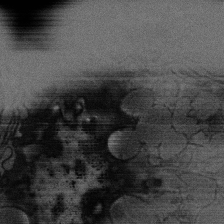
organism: Rat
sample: Salivary granule